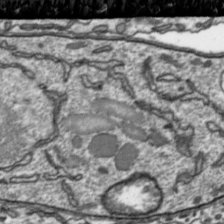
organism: Toxoplasma gondii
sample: Parasites in a vacuole inside a host cell